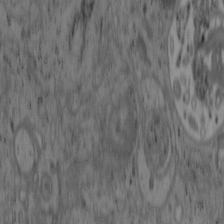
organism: Human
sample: HeLa cells